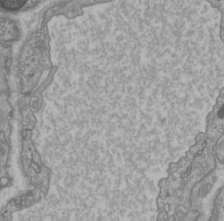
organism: C57BL Mouse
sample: Heart